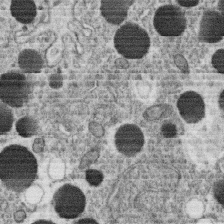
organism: C. elegans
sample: C. elegans oocyte; sperm cells